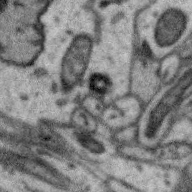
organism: Zebra finch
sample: Brain